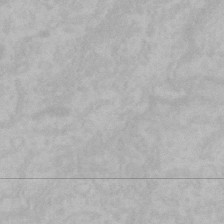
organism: Mouse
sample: Choroid plexus